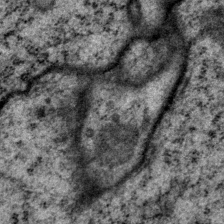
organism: P. pacificus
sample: Pharynx